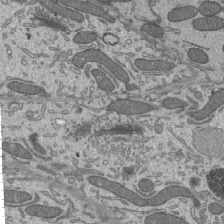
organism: Mouse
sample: Mouse epididymis efferent ductule cilia